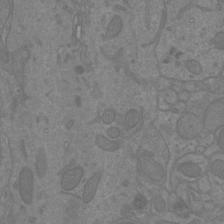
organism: Mouse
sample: Cortical neurons